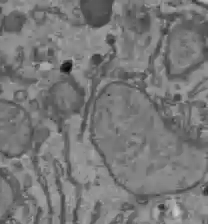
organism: C57BL Mouse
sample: Liver